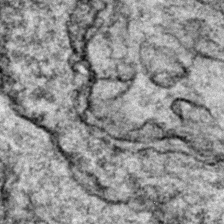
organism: Zebrafish